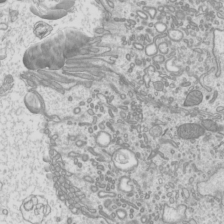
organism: Mouse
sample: Cilia; mouse epididymis